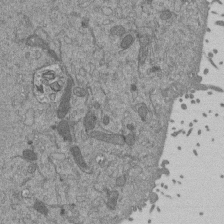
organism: Mouse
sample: ED-1 cell nuclei; centrioles